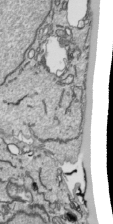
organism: Human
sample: Mitochondria in HCT116 cells